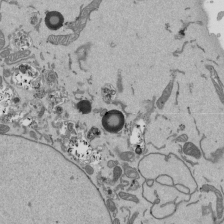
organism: Mouse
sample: ED-1 cell nuclei; centrioles